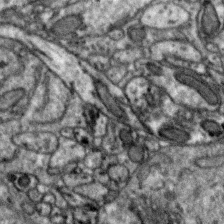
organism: Zebra finch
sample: Brain